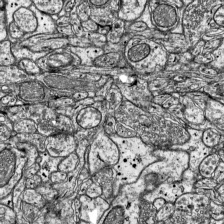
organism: Mouse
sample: Visual Cortex